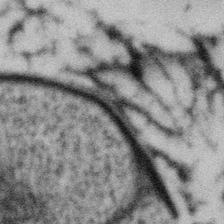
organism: Gemmata obscuriglobus